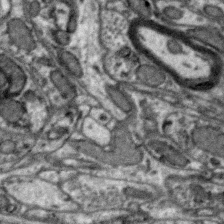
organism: Zebra finch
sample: Brain